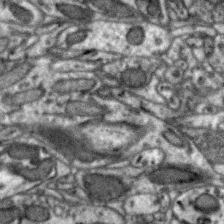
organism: Zebra finch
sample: Brain